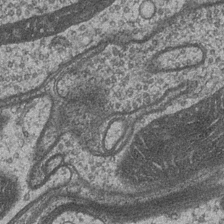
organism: Drosophila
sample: Optic medulla